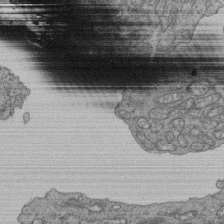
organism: Human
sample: Retinal organoid Rod and Cone cells